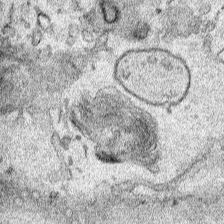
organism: Human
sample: Mitochondria in HCT116 cells